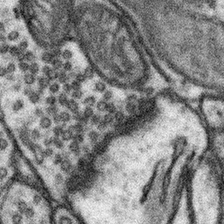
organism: Mouse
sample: Somatosensory cortex neuropil